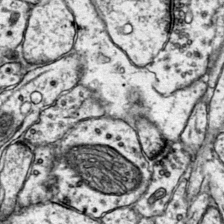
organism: Mouse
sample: Primary visual cortex